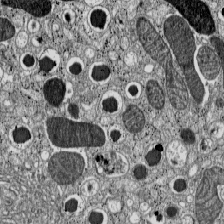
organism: C57BL Mouse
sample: Pancreatic islet